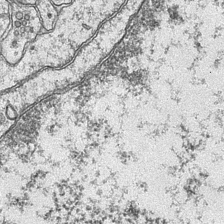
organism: Mouse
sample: CA1 Hippocampus